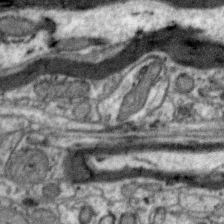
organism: Zebra finch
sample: Brain